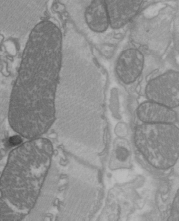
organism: C57BL Mouse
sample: Heart